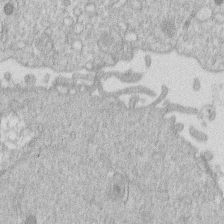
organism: Human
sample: Macrophage cells